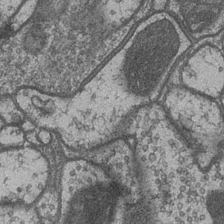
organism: Drosophila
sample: Optic medulla